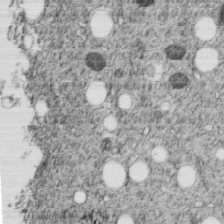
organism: C. elegans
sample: C. elegans embryo early stage